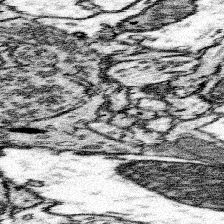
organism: Mouse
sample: Somatosensory cortex neuropil